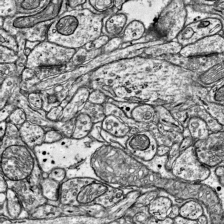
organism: Mouse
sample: Visual Cortex